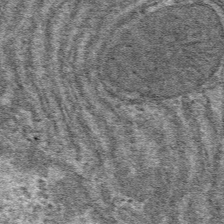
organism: Mouse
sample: Mouse hepatocytes